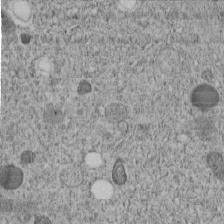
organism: C. elegans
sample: C. elegans embryo early stage